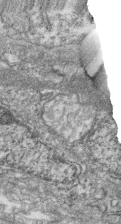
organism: Zebrafish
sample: Cilia; retinal pigment epithelium